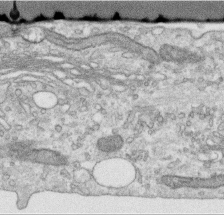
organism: Human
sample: Centriole in RPE cells